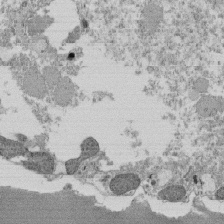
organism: Tetrahymena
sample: Cilia in tetrahymena